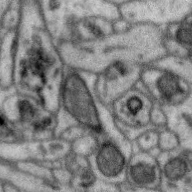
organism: Zebra finch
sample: Brain